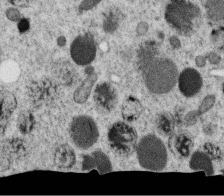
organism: C. elegans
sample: C. elegans oocyte; sperm cells